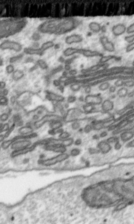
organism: Toxoplasma gondii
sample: Parasites in a vacuole inside a host cell